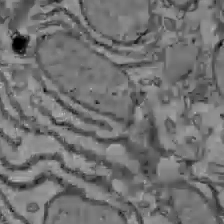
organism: C57BL Mouse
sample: Liver